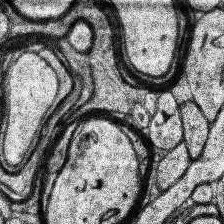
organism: Human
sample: Temporal Lobe